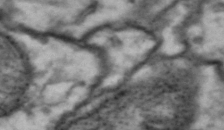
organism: Drosophila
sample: Brain